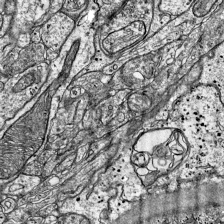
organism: Mouse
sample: Visual Cortex